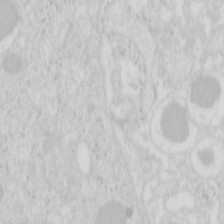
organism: Mouse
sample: Pancreas